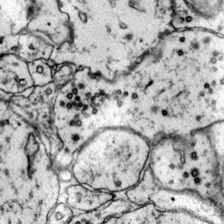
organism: Mouse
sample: Primary visual cortex